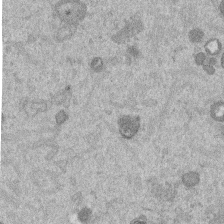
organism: Mouse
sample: Dividing mouse embryo 1 cell stage